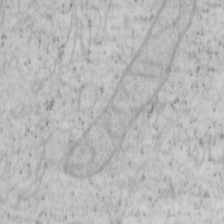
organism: Human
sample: HeLa cells